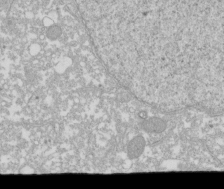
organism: Xenopus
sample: Cilia; centrioles in frog embryo cells